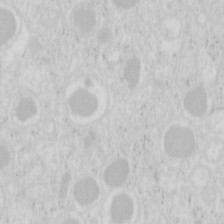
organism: Mouse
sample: Pancreas